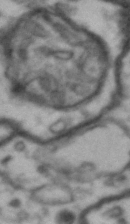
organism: Drosophila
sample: Brain